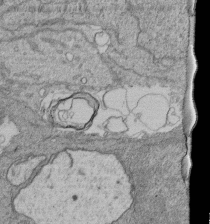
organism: Human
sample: Retinal organoid Rod and Cone cells